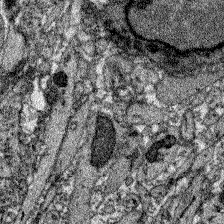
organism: Zebrafish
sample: Larval olfactory bulb